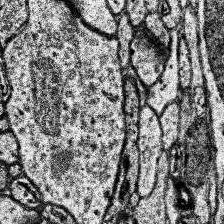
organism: Human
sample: Temporal Lobe